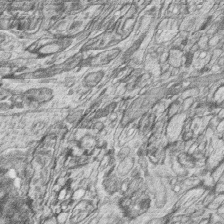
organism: Zebrafish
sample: synaptic ribbons in rod cells and cone cells